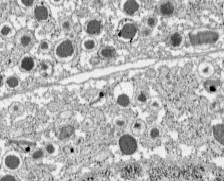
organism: C57BL Mouse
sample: Pancreatic islet